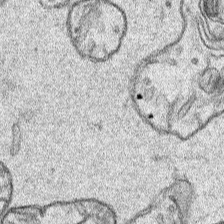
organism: Human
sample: Mitochondria in HCT116 cells